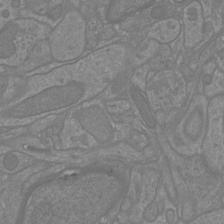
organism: Mouse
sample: Cortical neurons